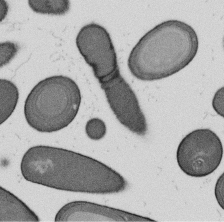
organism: B. subtilis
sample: Bacterial spore